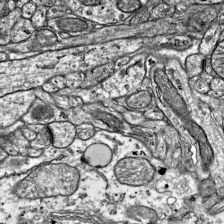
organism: Mouse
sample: Visual Cortex